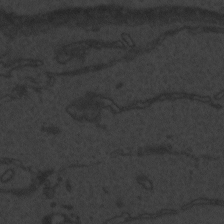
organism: Zebrafish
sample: Macrophage infected with Toxoplasma gondii